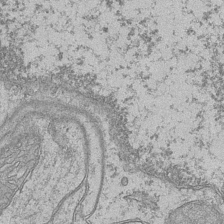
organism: Mouse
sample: CA1 Hippocampus